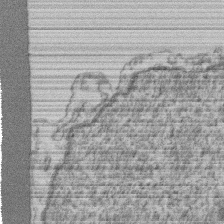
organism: Mouse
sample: T cell stromal cell synapse